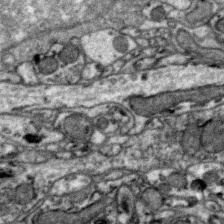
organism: Zebra finch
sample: Brain